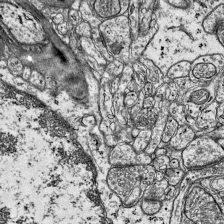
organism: Mouse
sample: Visual Cortex